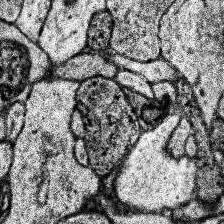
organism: Human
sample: Temporal Lobe